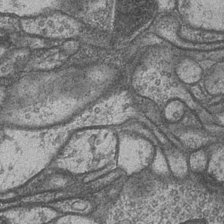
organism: Drosophila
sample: Optic medulla